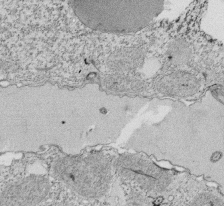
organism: Tetrahymena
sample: Cilia in tetrahymena